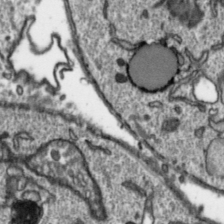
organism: Toxoplasma gondii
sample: Parasites in a vacuole inside a host cell